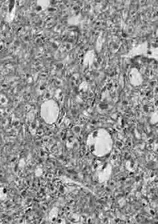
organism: Drosophila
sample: Optic lobe